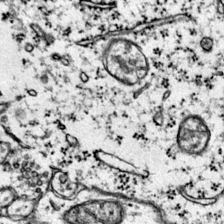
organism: Mouse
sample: Primary visual cortex